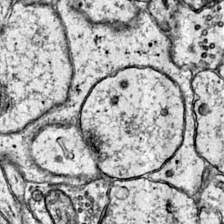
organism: Mouse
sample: Primary visual cortex